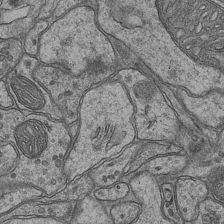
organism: Mouse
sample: CA1 Hippocampus